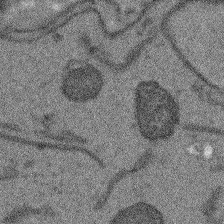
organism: Arabidopsis thaliana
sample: Root tip